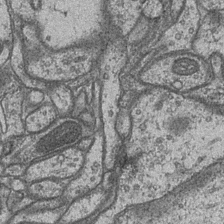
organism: Drosophila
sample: Optic medulla